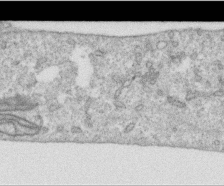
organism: Human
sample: Centriole in RPE cells